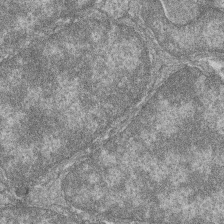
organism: Zebrafish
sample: Cilia; retinal pigment epithelium